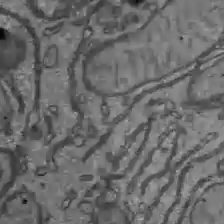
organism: C57BL Mouse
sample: Liver